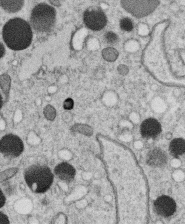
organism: C. elegans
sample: C. elegans oocyte; sperm cells